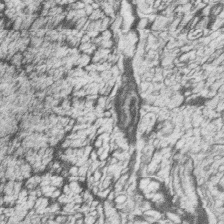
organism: Zebrafish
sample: synaptic ribbons in rod cells and cone cells